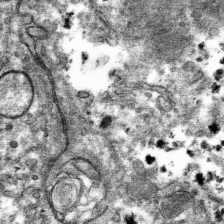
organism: Mouse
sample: Mouse hepatocytes